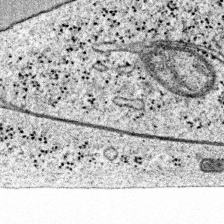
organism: Human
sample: HeLa cells